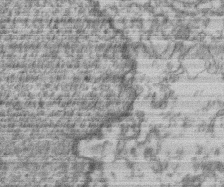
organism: Mouse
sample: T cell stromal cell synapse